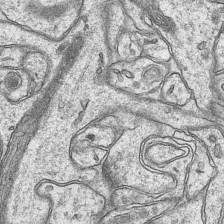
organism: Mouse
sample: CA1 Hippocampus